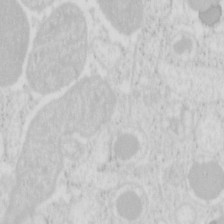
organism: Mouse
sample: Pancreas